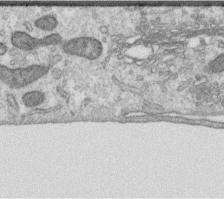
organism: Human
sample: Centriole in RPE cells